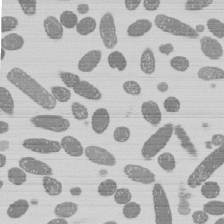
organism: E. coli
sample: Bacterial nucleoid